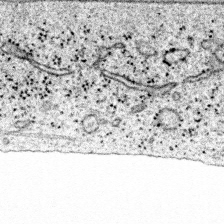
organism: Human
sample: HeLa cells